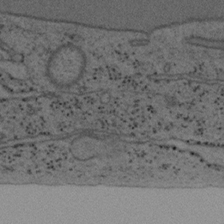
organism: Human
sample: HeLa cells